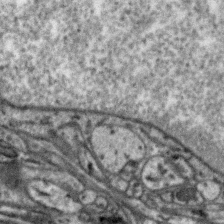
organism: Zebra finch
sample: Brain